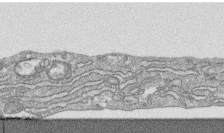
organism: Human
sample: CRL-1474